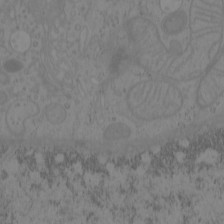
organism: Human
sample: HeLa cells